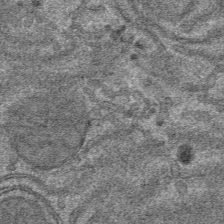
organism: Mouse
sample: Mouse hepatocytes